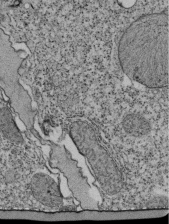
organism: Tetrahymena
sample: Cilia in tetrahymena